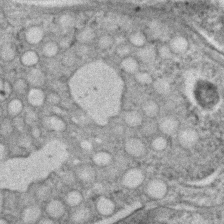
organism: C. elegans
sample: C. elegans embryo